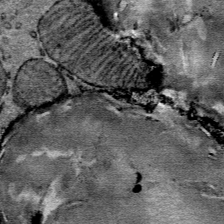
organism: Mouse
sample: Mouse Salivary gland